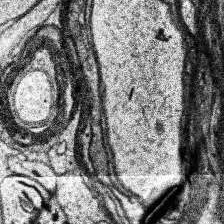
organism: Human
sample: Temporal Lobe